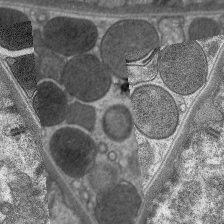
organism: C. elegans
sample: Pharynx